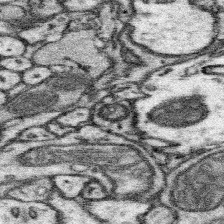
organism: Mouse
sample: Somatosensory cortex neuropil